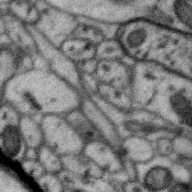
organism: Zebra finch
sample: Brain